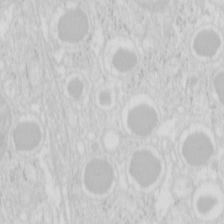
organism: Mouse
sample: Pancreas